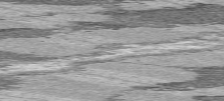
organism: C57BL Mouse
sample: Heart